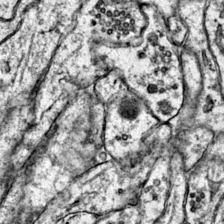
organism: Mouse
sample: Primary visual cortex